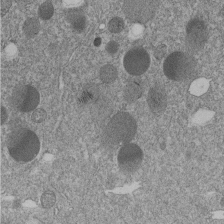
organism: C. elegans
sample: C. elegans embryo early stage